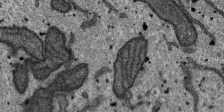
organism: Human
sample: Lung epithelial cells, uninfected (mock) control